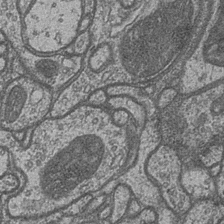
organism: Drosophila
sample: Optic medulla